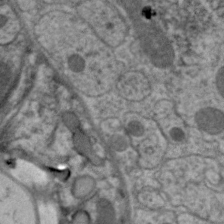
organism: C. elegans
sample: Pharynx